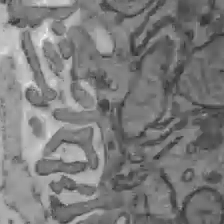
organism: C57BL Mouse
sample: Liver